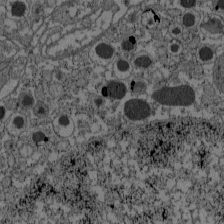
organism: C57BL Mouse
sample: Pancreatic islet